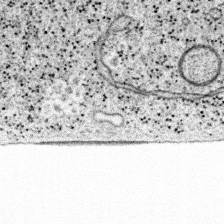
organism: Human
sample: HeLa cells